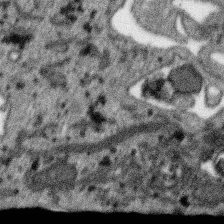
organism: Human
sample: Lung epithelial cells infected with SARS-CoV-2